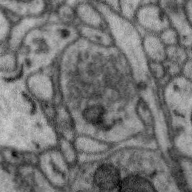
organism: Zebra finch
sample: Brain